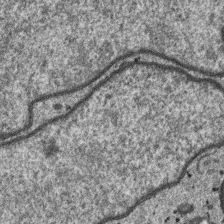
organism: Human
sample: Lung epithelial cells infected with SARS-CoV-2